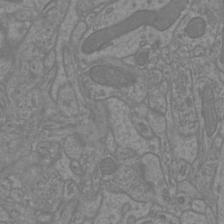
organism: Mouse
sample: Cortical neurons